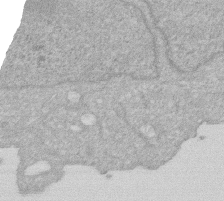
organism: Human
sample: HIV infected U937 cells